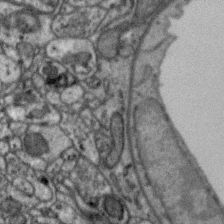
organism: Zebra finch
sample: Brain